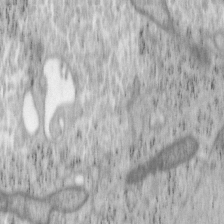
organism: Human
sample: HeLa cells